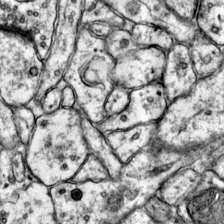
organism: Mouse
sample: Primary visual cortex